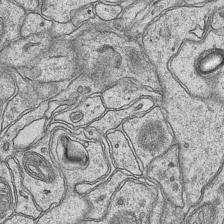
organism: Mouse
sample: CA1 Hippocampus